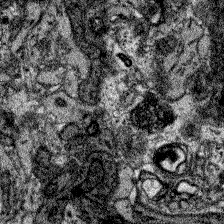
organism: Zebrafish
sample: Larval olfactory bulb